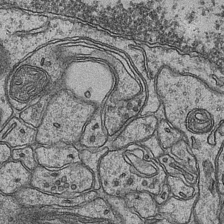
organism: Mouse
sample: CA1 Hippocampus